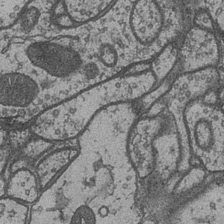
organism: Drosophila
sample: Optic medulla